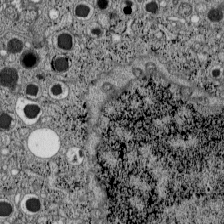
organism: C57BL Mouse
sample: Pancreatic islet